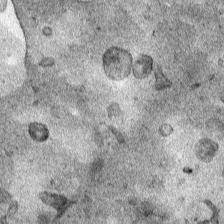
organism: Human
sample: Mitochondria in HCT116 cells